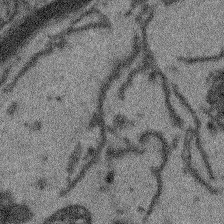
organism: Arabidopsis thaliana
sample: Root tip